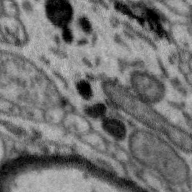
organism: Zebra finch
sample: Brain